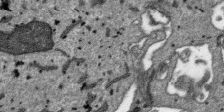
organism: Human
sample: Lung epithelial cells, uninfected (mock) control